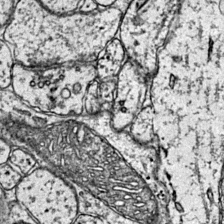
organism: Mouse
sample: Primary visual cortex